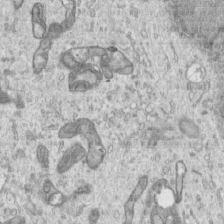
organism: Human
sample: Centriole in RPE cells